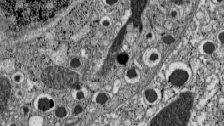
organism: C57BL Mouse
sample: Pancreatic islet